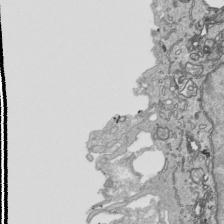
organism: Human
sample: Mitochondria in HCT116 cells